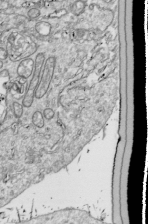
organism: Drosophila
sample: Cell division; meiosis; drosophila spermatocytes